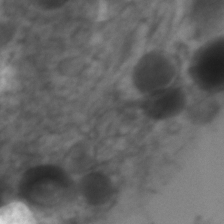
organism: Zebrafish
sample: Zebrafish embryo